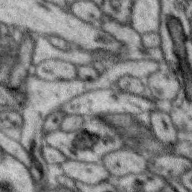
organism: Zebra finch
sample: Brain